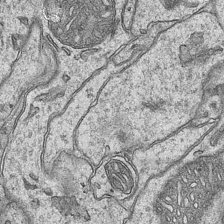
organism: Mouse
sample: CA1 Hippocampus